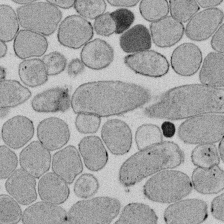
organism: E. coli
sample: Bacterial nucleoid